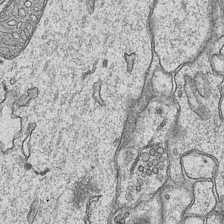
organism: Mouse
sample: CA1 Hippocampus